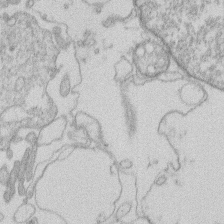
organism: Human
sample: Macrophage cells